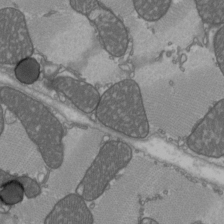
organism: C57BL Mouse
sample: Heart